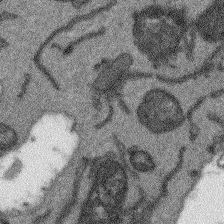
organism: Arabidopsis thaliana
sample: Root tip